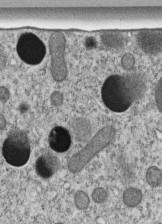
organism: C. elegans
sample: C. elegans embryo early stage